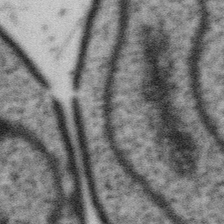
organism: Gemmata obscuriglobus